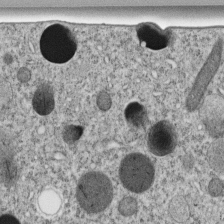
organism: C. elegans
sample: C. elegans embryo early stage